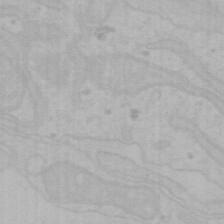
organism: Mouse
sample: Choroid plexus